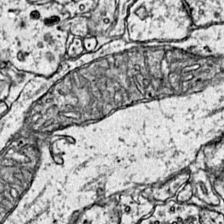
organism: Mouse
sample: Primary visual cortex